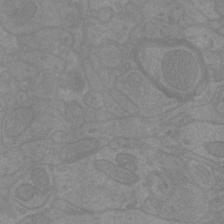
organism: Mouse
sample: Cortical neurons